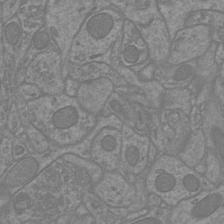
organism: Mouse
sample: Cortical neurons